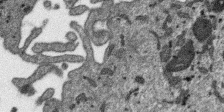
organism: Human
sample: Lung epithelial cells infected with SARS-CoV-2